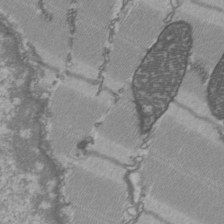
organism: C57BL Mouse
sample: Heart